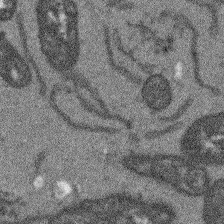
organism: Arabidopsis thaliana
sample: Root tip